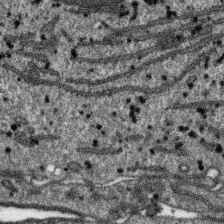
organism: Human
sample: Lung epithelial cells infected with SARS-CoV-2